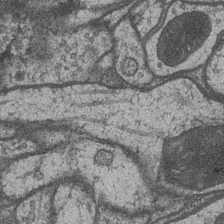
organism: Drosophila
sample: Optic medulla